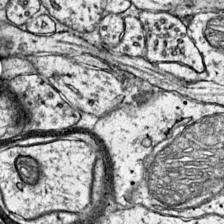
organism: Mouse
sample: Primary visual cortex